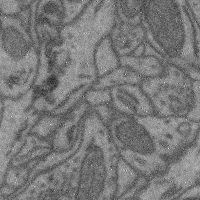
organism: Mouse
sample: Cerebral cortex